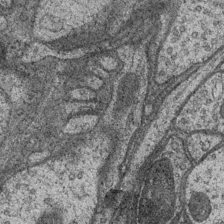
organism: Drosophila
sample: Optic medulla